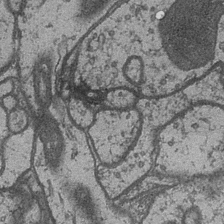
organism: Drosophila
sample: Optic medulla